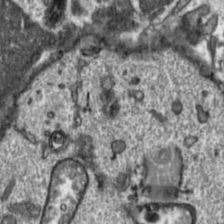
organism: Toxoplasma gondii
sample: Parasites in a vacuole inside a host cell